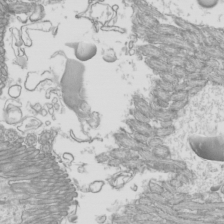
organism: Mouse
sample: Cilia; mouse epididymis